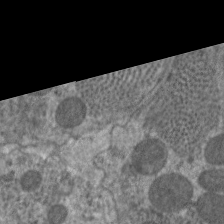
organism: C. elegans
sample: Pharynx